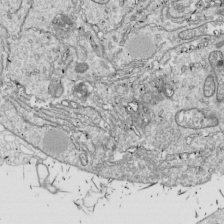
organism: Drosophila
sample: Cell division; meiosis; drosophila spermatocytes